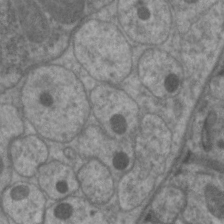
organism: C. elegans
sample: Pharynx